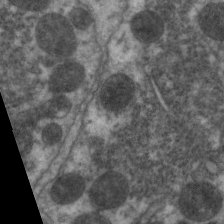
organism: C. elegans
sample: Pharynx